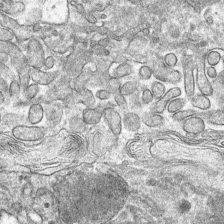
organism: Mouse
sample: Mouse hepatocytes